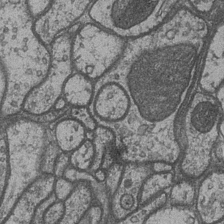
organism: Drosophila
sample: Optic medulla